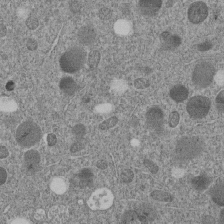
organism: C. elegans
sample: C. elegans embryo early stage